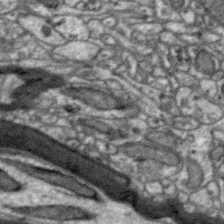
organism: Zebra finch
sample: Brain